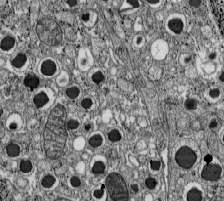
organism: C57BL Mouse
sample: Pancreatic islet